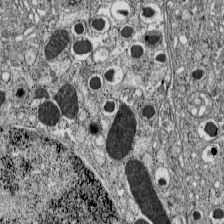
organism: C57BL Mouse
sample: Pancreatic islet